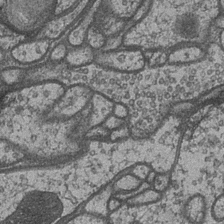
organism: Drosophila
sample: Optic medulla